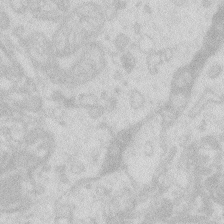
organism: Zebrafish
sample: Macrophage